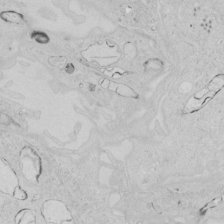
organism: Human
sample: Mitochondria in HCT116 cells